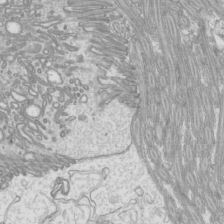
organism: Mouse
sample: Cilia; mouse epididymis